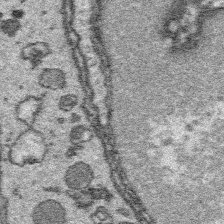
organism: Platynereis dumerilii